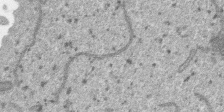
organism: Human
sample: Lung epithelial cells infected with SARS-CoV-2